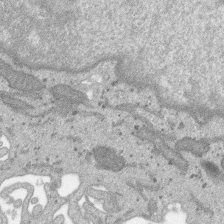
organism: Human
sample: Lung epithelial cells infected with SARS-CoV-2